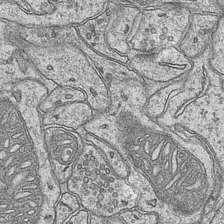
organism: Mouse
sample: CA1 Hippocampus